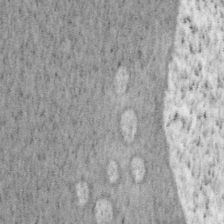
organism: Mouse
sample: OT-I killer T cells with ID8 ovarian cancer cells